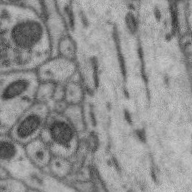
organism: Zebra finch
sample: Brain